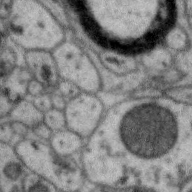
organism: Zebra finch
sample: Brain